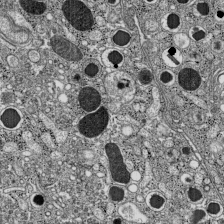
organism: C57BL Mouse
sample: Pancreatic islet